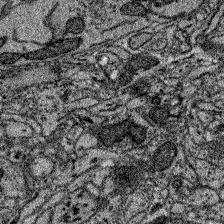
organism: Zebrafish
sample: Larval olfactory bulb